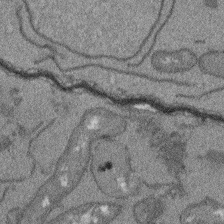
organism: Arabidopsis thaliana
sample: Root tip